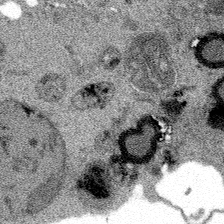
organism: Spongilla lacustris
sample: Multiple